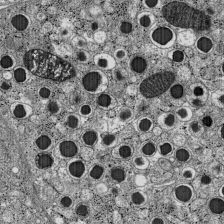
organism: C57BL Mouse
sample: Pancreatic islet